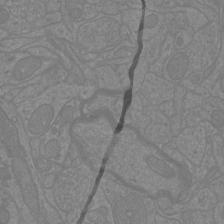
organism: Mouse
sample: Cortical neurons